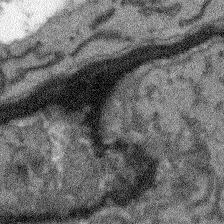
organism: Arabidopsis thaliana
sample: Root tip